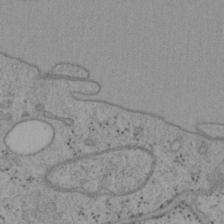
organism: Human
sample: HeLa cells